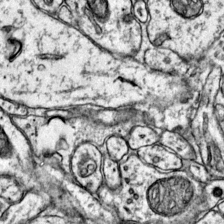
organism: Mouse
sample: Primary visual cortex